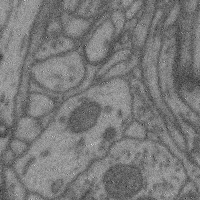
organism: Mouse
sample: Cerebral cortex